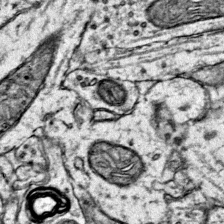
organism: Mouse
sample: Primary visual cortex